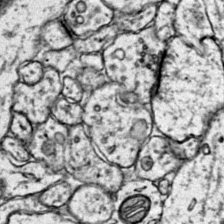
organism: Mouse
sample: Primary visual cortex